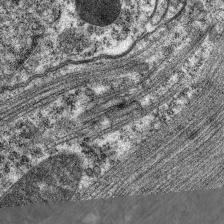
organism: C. elegans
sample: Pharynx